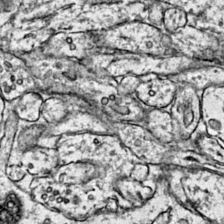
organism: Mouse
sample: Primary visual cortex